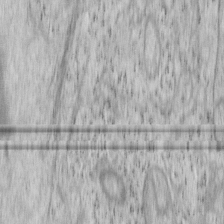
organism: Human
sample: HeLa cells